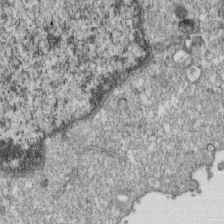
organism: African green monkey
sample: Vero E6 cells infected with SARS-CoV-2